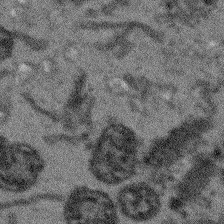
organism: Arabidopsis thaliana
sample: Root tip